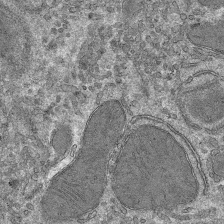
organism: Mouse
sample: Mouse hepatocytes